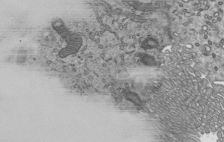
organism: Mouse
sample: Mouse epididymis efferent ductule cilia